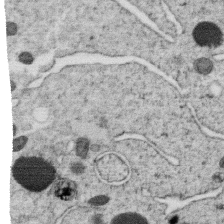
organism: C. elegans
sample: C. elegans oocyte; sperm cells